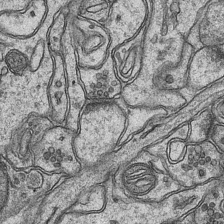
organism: Mouse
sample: CA1 Hippocampus